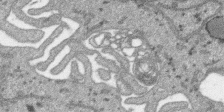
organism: Human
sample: Lung epithelial cells infected with SARS-CoV-2